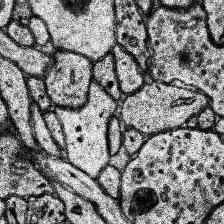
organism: Human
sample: Temporal Lobe